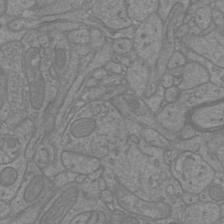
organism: Mouse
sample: Cortical neurons